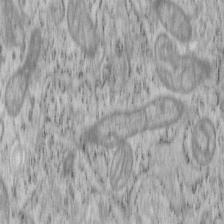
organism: Human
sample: HeLa cells